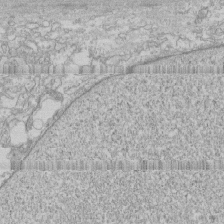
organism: Human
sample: CRL-1474